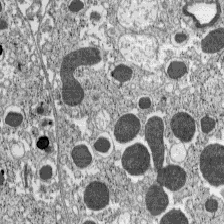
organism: C57BL Mouse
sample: Pancreatic islet